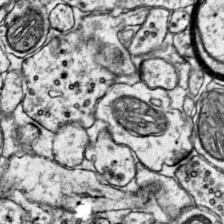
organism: Mouse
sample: Primary visual cortex